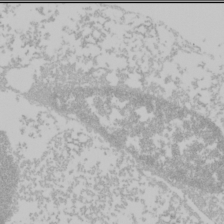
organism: Mouse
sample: Cancer cell death in ED-1 cells